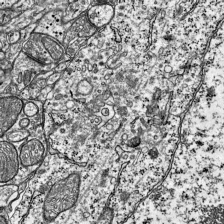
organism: Mouse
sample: Visual Cortex